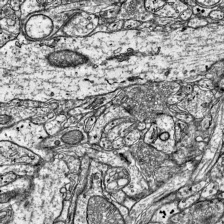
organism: Mouse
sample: Visual Cortex